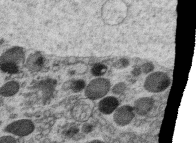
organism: C. elegans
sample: C. elegans oocyte; sperm cells